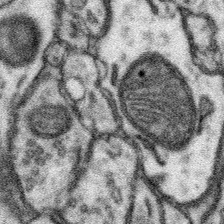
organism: Mouse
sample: Somatosensory cortex neuropil